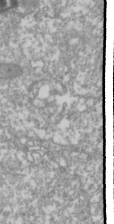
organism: Drosophila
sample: Cell division; meiosis; drosophila spermatocytes